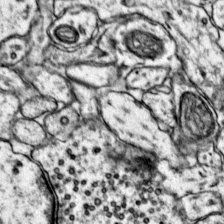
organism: Mouse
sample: Primary visual cortex